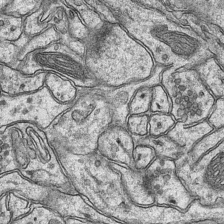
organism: Mouse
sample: CA1 Hippocampus